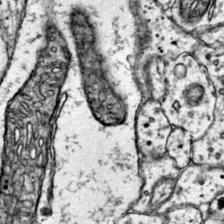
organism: Mouse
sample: Primary visual cortex